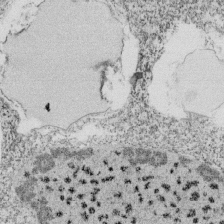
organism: Tetrahymena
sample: Cilia in tetrahymena